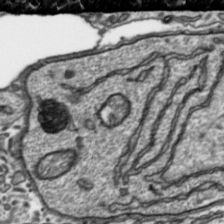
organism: Toxoplasma gondii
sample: Parasites in a vacuole inside a host cell